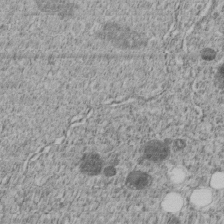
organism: C. elegans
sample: C. elegans embryo early stage